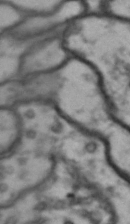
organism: Drosophila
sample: Brain